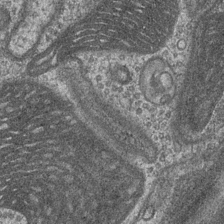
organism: Drosophila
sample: Optic medulla